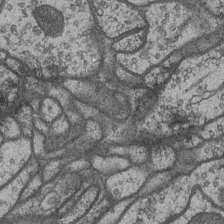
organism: Drosophila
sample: Optic medulla